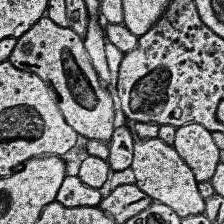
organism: Human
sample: Temporal Lobe